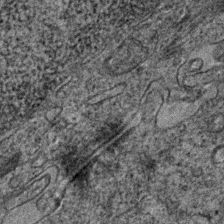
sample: Trachea